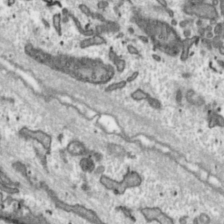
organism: Toxoplasma gondii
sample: Parasites in a vacuole inside a host cell